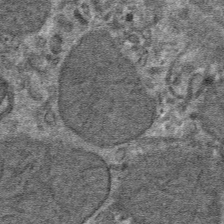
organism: Mouse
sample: Mouse hepatocytes